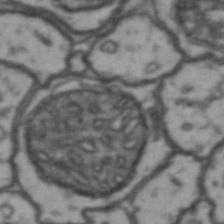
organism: Drosophila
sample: Brain